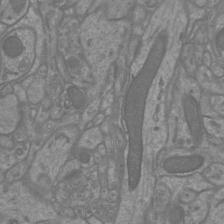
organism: Mouse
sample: Cortical neurons